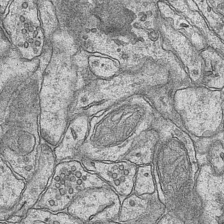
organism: Mouse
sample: CA1 Hippocampus